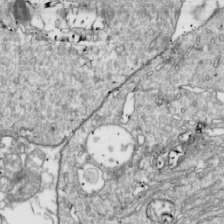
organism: Drosophila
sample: Cell division; meiosis; drosophila spermatocytes